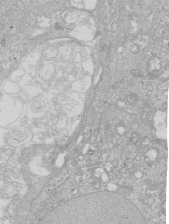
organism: Human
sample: Caco-2 cells